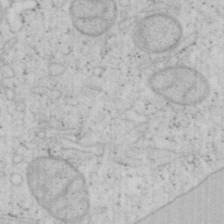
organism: Human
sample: HeLa cells